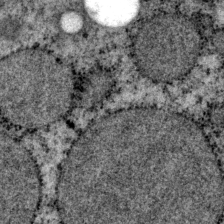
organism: P. pacificus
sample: Pharynx